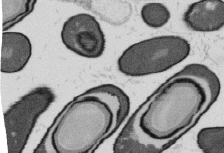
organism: B. subtilis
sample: Bacterial spore